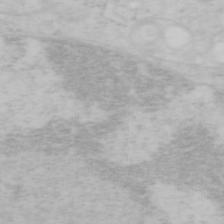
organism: Mouse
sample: OT-I killer T cells with ID8 ovarian cancer cells